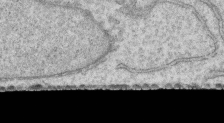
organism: Human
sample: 1205lu cells